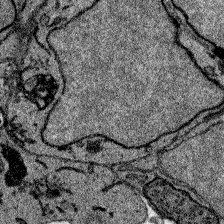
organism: Zebrafish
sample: Larval olfactory bulb